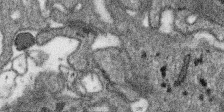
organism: Human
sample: Lung epithelial cells infected with SARS-CoV-2